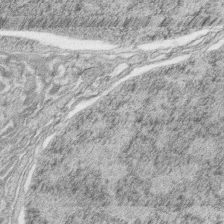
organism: Zebrafish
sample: synaptic ribbons in rod cells and cone cells